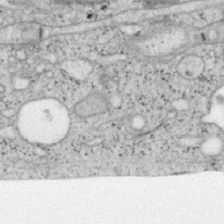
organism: Mouse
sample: OT-I killer T cells with ID8 ovarian cancer cells